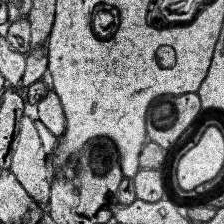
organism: Human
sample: Temporal Lobe